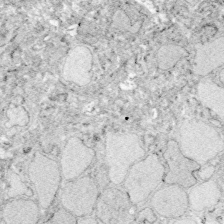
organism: Zebrafish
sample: Whole-Brain